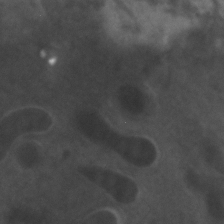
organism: Zebrafish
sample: Zebrafish embryo